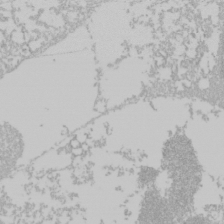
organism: Mouse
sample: Cancer cell death in ED-1 cells